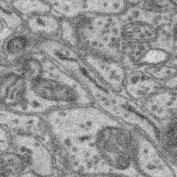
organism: Mouse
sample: Retina